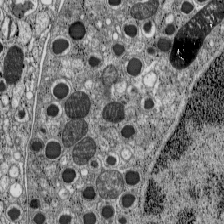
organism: C57BL Mouse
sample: Pancreatic islet